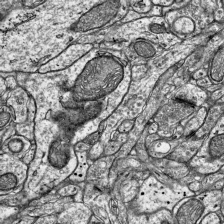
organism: Mouse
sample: Visual Cortex